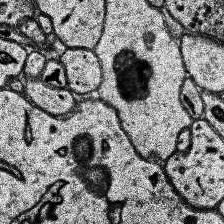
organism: Human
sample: Temporal Lobe